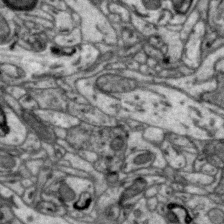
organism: Zebra finch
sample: Brain